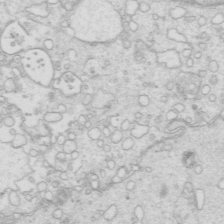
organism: Mouse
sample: Multiciliated cells